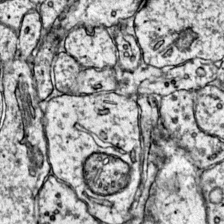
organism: Mouse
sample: Primary visual cortex